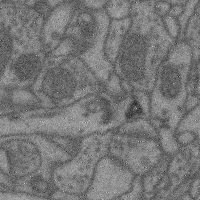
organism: Mouse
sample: Cerebral cortex